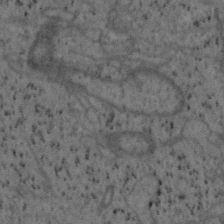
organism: Human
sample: HeLa cells